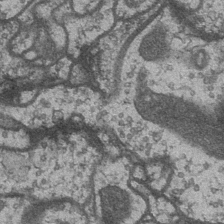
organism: Drosophila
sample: Optic medulla